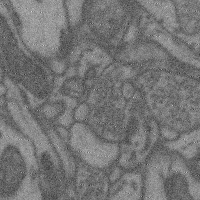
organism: Mouse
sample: Cerebral cortex